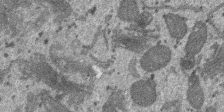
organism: Human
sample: Lung epithelial cells infected with SARS-CoV-2